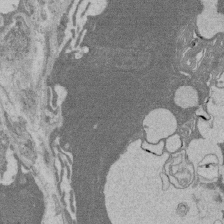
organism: Rat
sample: Salivary granule